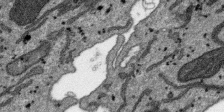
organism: Human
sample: Lung epithelial cells, uninfected (mock) control